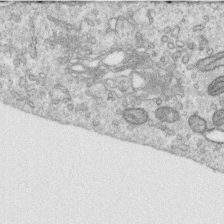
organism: Human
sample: Centriole in RPE cells